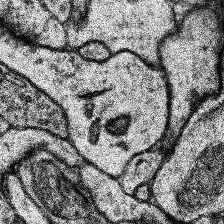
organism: Human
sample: Temporal Lobe